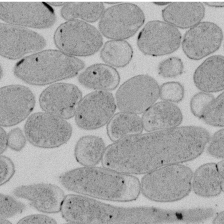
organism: E. coli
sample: Bacterial nucleoid